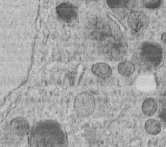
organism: C. elegans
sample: C. elegans embryo early stage